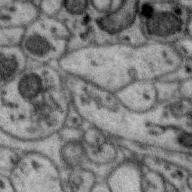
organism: Zebra finch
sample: Brain